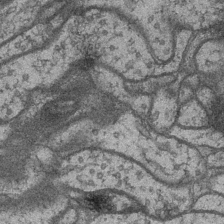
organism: Drosophila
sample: Optic medulla